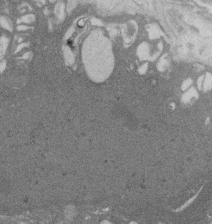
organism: Rat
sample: Salivary granule